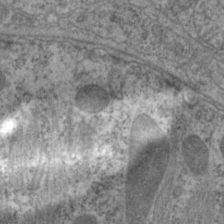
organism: C. elegans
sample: Pharynx